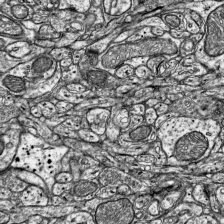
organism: Mouse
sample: Visual Cortex